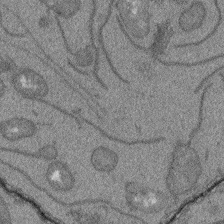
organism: Arabidopsis thaliana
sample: Root tip